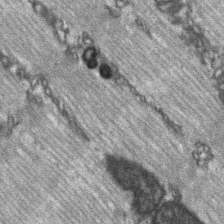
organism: C57BL Mouse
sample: Soleus